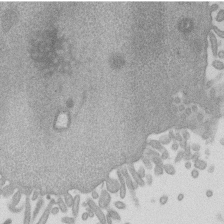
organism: Mouse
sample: Dividing mouse embryo 1 cell stage